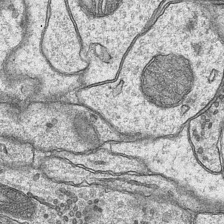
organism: Mouse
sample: CA1 Hippocampus